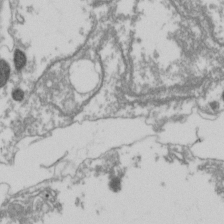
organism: Drosophila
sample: Cell division; meiosis; drosophila spermatocytes